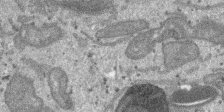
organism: Human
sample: Lung epithelial cells infected with SARS-CoV-2